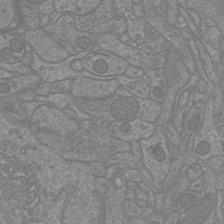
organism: Mouse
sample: Cortical neurons